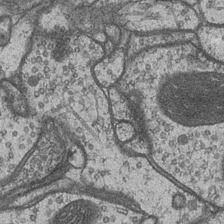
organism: Drosophila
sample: Optic medulla